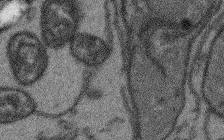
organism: Arabidopsis thaliana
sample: Root tip